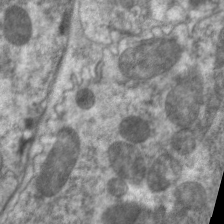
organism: C. elegans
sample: Pharynx